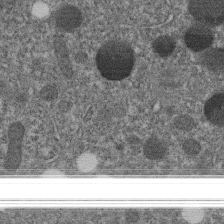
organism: C. elegans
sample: C. elegans embryo early stage